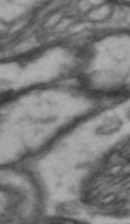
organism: Drosophila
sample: Brain